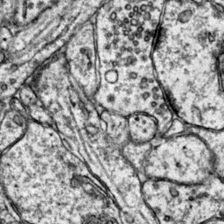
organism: Mouse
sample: Primary visual cortex